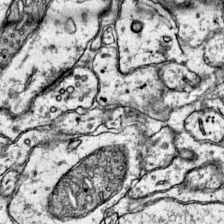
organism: Mouse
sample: Primary visual cortex